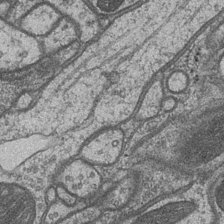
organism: Drosophila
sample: Optic medulla